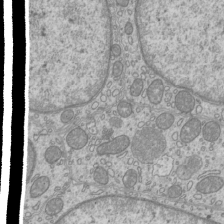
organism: Mouse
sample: Cilia; mouse epididymis